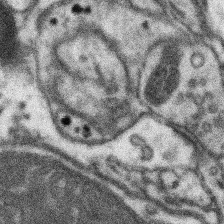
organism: Mouse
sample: Somatosensory cortex neuropil